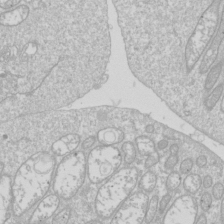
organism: Drosophila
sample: Cell division; meiosis; drosophila spermatocytes